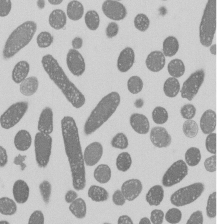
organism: E. coli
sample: Bacterial nucleoid